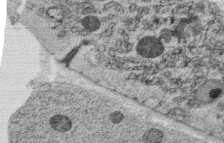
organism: C. elegans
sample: C. elegans oocyte; sperm cells